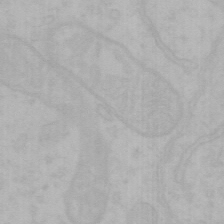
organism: Mouse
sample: Choroid plexus